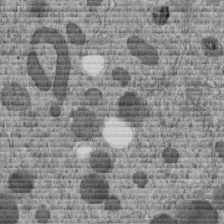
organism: C. elegans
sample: C. elegans embryo early stage